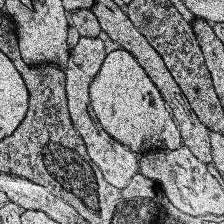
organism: Human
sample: Temporal Lobe